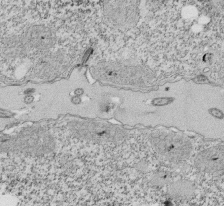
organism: Tetrahymena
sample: Cilia in tetrahymena